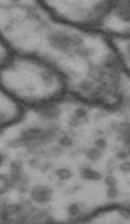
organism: Drosophila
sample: Brain